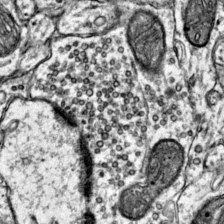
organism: Mouse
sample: Primary visual cortex